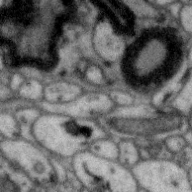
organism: Zebra finch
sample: Brain